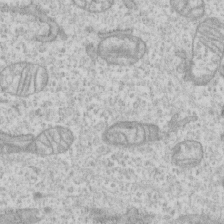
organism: Human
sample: CRL-1474